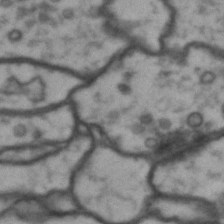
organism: Drosophila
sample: Brain